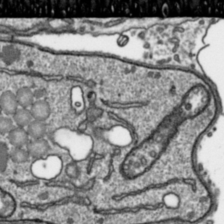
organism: Toxoplasma gondii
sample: Parasites in a vacuole inside a host cell